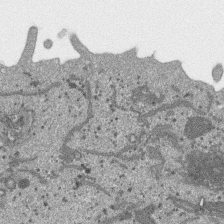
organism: Human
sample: Lung epithelial cells infected with SARS-CoV-2